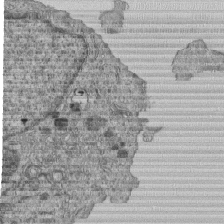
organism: Human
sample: MDA-MB-231 cells